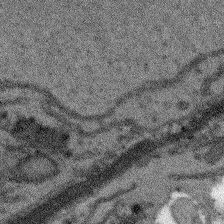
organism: Arabidopsis thaliana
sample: Root tip